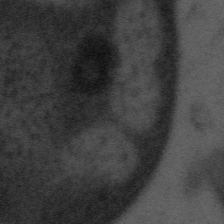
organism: Tuwongella immobilis